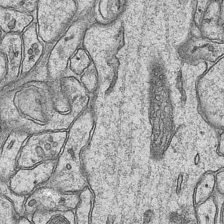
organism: Mouse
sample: CA1 Hippocampus